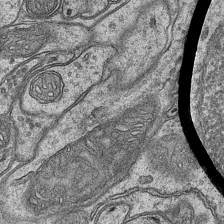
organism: Mouse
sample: CA1 Hippocampus